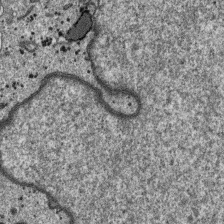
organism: Human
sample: Lung epithelial cells infected with SARS-CoV-2